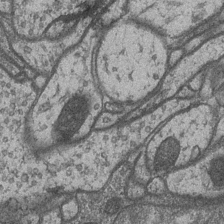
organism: Drosophila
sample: Optic medulla